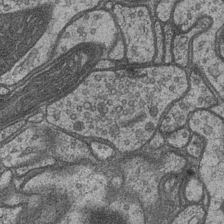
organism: Drosophila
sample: Optic medulla